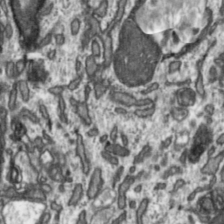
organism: Toxoplasma gondii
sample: Parasites in a vacuole inside a host cell